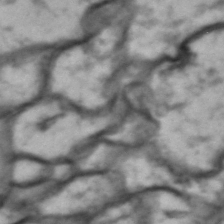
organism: Drosophila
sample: Brain